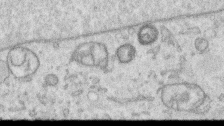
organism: Human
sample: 1205lu cells